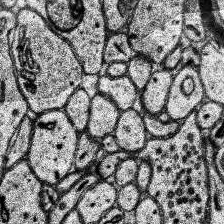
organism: Human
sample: Temporal Lobe